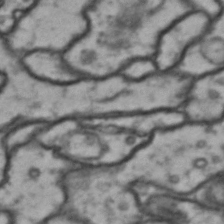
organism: Drosophila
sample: Brain